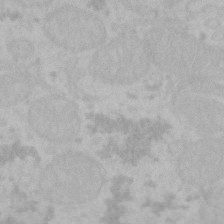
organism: Mouse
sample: Choroid plexus